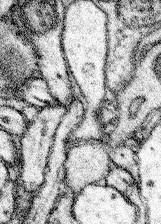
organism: Mouse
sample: Somatosensory cortex neuropil